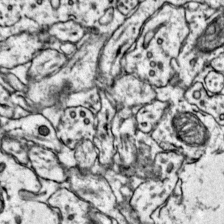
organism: Mouse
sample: Primary visual cortex